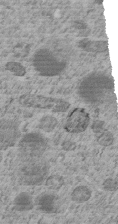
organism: C. elegans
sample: C. elegans embryo early stage